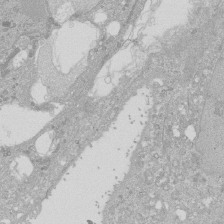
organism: Human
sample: Caco-2 cells